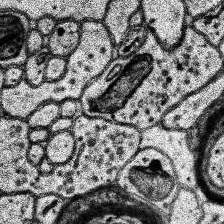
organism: Human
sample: Temporal Lobe